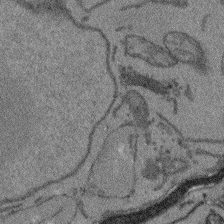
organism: Arabidopsis thaliana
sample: Root tip